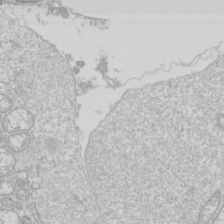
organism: Drosophila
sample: Cell division; meiosis; drosophila spermatocytes